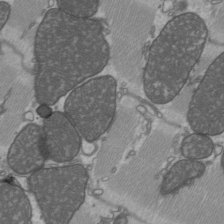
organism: C57BL Mouse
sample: Heart